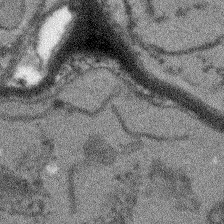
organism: Arabidopsis thaliana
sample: Root tip